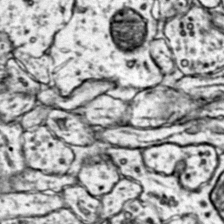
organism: Mouse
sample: Primary visual cortex